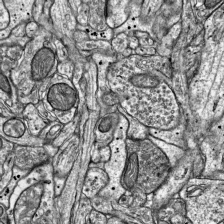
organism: Mouse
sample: Visual Cortex